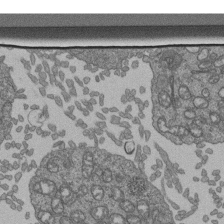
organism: Human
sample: Retinal organoid Rod and Cone cells